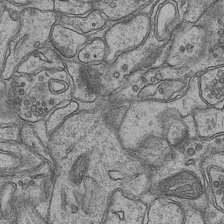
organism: Mouse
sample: CA1 Hippocampus